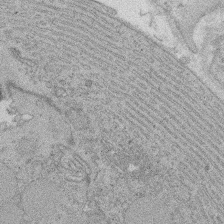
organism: Rat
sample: Salivary granule